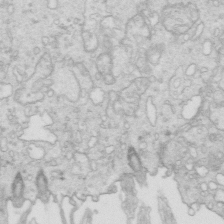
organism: Mouse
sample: Multiciliated cells